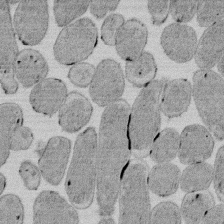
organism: E. coli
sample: Bacterial nucleoid